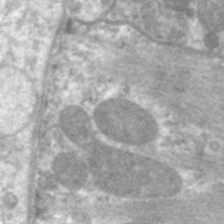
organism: C. elegans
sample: Pharynx